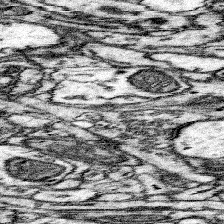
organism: Mouse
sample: Somatosensory cortex neuropil